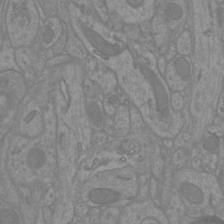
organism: Mouse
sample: Cortical neurons